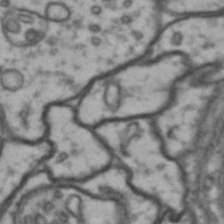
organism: Drosophila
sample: Brain